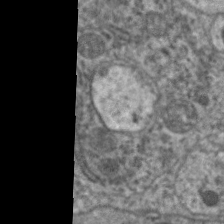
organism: C. elegans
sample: Pharynx